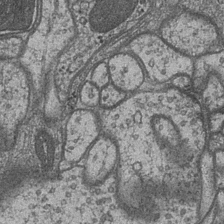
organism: Drosophila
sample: Optic medulla